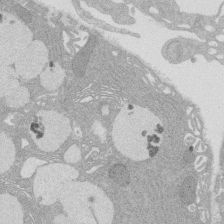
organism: Rat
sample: Salivary granule